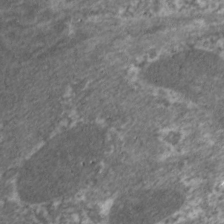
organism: C. elegans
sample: Pharynx